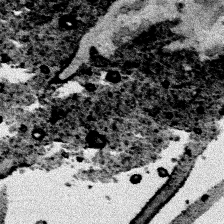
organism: Human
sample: Mitochondria in HCT116 cells